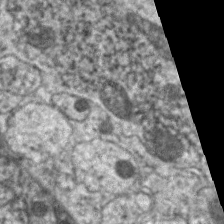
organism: C. elegans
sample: Pharynx